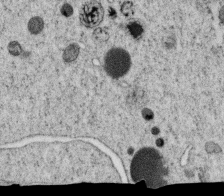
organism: C. elegans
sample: C. elegans oocyte; sperm cells